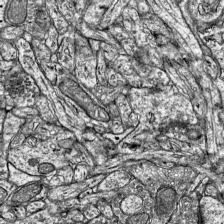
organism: Mouse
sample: Visual Cortex